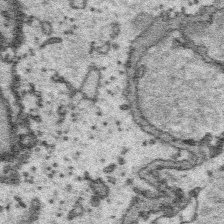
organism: Platynereis dumerilii